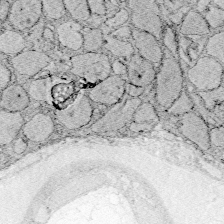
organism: Zebrafish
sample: Whole-Brain